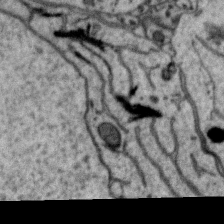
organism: Zebra finch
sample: Brain